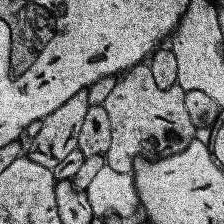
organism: Human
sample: Temporal Lobe